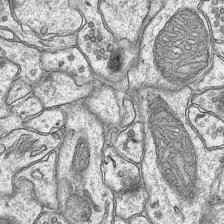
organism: Mouse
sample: CA1 Hippocampus